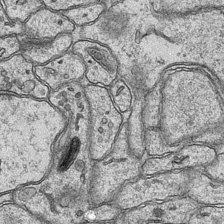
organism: Mouse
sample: CA1 Hippocampus